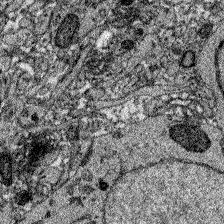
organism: Zebrafish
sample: Larval olfactory bulb